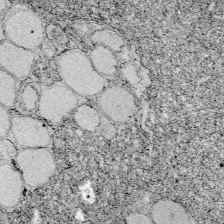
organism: Zebrafish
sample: Whole-Brain